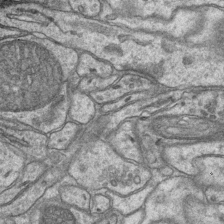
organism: Mouse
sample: CA1 Hippocampus